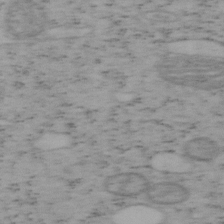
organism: Mouse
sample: OT-I killer T cells with ID8 ovarian cancer cells